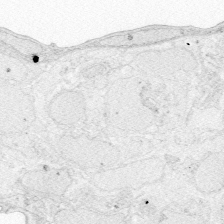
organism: Zebrafish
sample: Whole-Brain